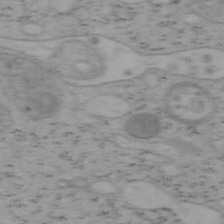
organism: Mouse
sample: OT-I killer T cells with ID8 ovarian cancer cells